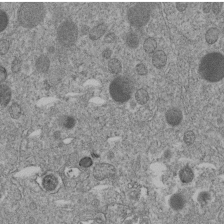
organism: C. elegans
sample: C. elegans embryo early stage